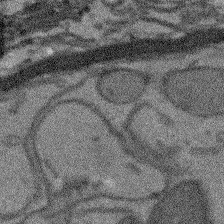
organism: Arabidopsis thaliana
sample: Root tip